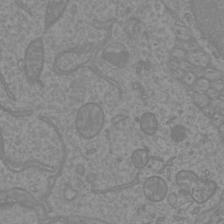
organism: Mouse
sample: Cortical neurons